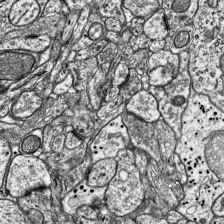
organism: Mouse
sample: Visual Cortex